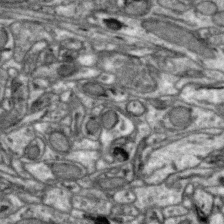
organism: Zebra finch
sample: Brain